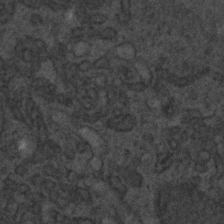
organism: C. elegans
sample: C. elegans embryo